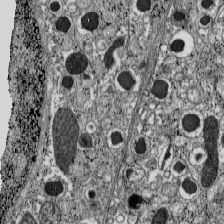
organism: C57BL Mouse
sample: Pancreatic islet